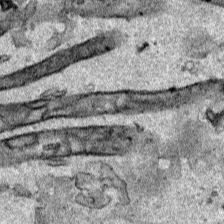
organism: Human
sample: Mitochondria in HCT116 cells